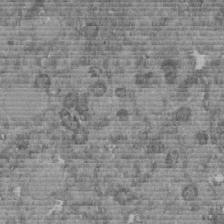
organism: C. elegans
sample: C. elegans embryo early stage